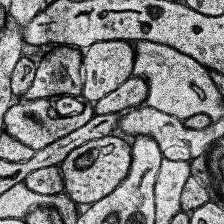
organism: Human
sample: Temporal Lobe